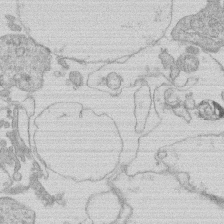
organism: Human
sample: Macrophage cells